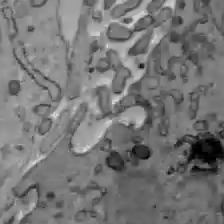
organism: C57BL Mouse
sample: Liver